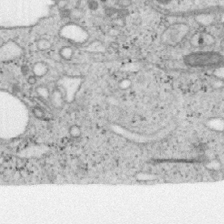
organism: Mouse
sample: OT-I killer T cells with ID8 ovarian cancer cells